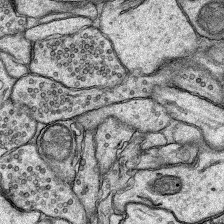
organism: Rat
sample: Hippocampus